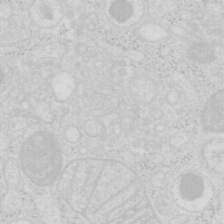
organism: Mouse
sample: Pancreas